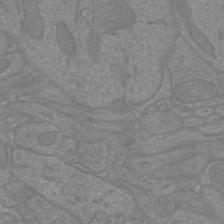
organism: Mouse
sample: Cortical neurons